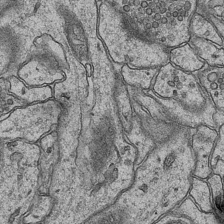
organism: Mouse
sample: CA1 Hippocampus